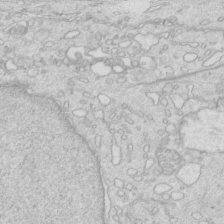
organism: Mouse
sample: Multiciliated cells